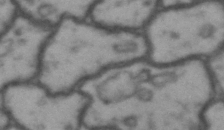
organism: Drosophila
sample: Brain